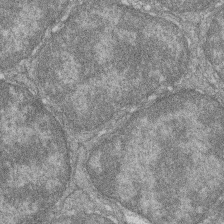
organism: Zebrafish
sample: Cilia; retinal pigment epithelium